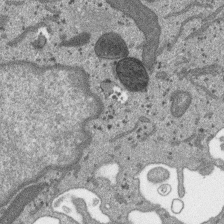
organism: Human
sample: Lung epithelial cells infected with SARS-CoV-2